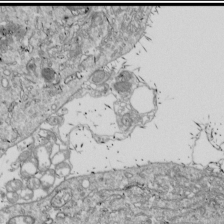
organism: Drosophila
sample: Cell division; meiosis; drosophila spermatocytes